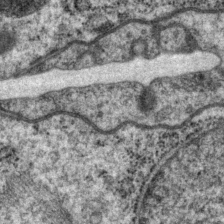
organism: P. pacificus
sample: Pharynx